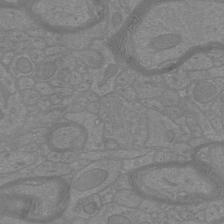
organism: Mouse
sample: Cortical neurons